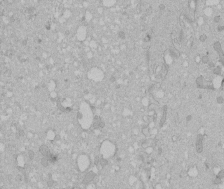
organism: Human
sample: Melanocyte Keratinocyte synapse skin construct